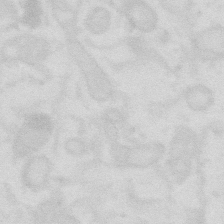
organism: Human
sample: HeLa cells